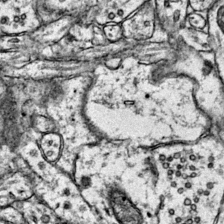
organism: Mouse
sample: Primary visual cortex